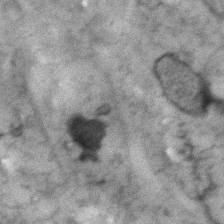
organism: Human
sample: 1205lu cells